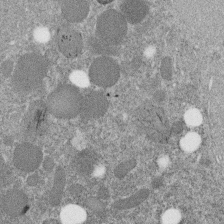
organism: C. elegans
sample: C. elegans embryo early stage